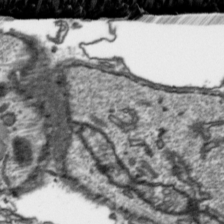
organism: Toxoplasma gondii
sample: Parasites in a vacuole inside a host cell